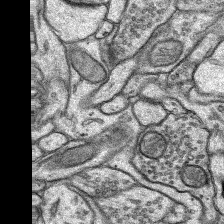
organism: Rat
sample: Hippocampus